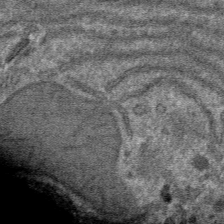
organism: Mouse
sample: Mouse hepatocytes